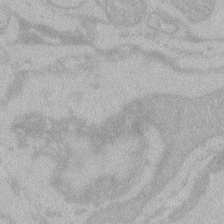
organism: Zebrafish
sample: Macrophage infected with Toxoplasma gondii